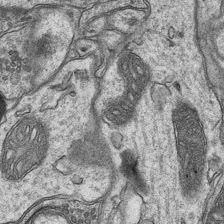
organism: Mouse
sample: CA1 Hippocampus